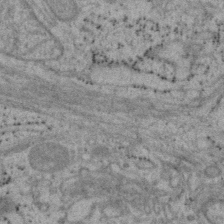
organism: Human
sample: HeLa cells